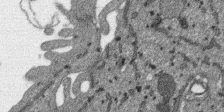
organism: Human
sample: Lung epithelial cells infected with SARS-CoV-2